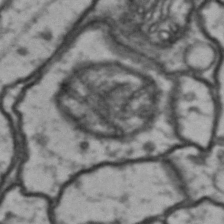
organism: Drosophila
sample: Brain